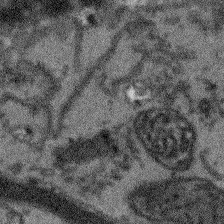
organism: Arabidopsis thaliana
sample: Root tip